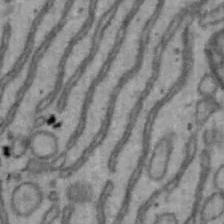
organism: Mouse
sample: Liver